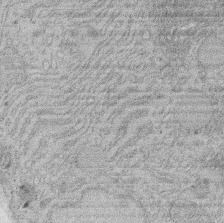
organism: Rat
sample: Salivary granule